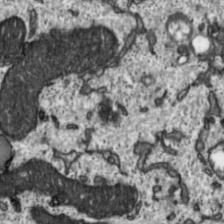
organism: Toxoplasma gondii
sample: Parasites in a vacuole inside a host cell